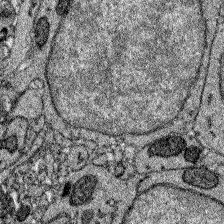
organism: Zebrafish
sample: Larval olfactory bulb